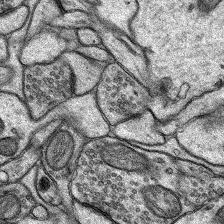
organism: Rat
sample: Hippocampus